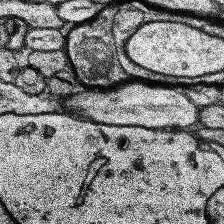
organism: Human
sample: Temporal Lobe